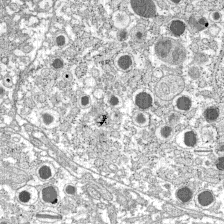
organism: C57BL Mouse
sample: Pancreatic islet